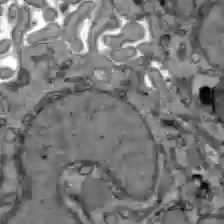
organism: C57BL Mouse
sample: Liver